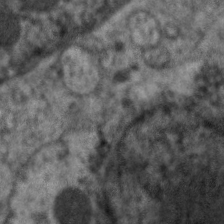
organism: C. elegans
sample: Pharynx